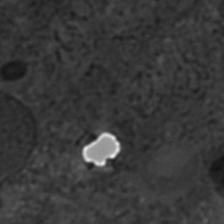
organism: C. elegans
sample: C. elegans embryo